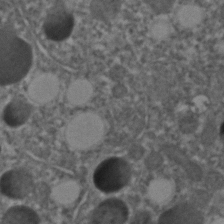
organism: C. elegans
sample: C. elegans embryo